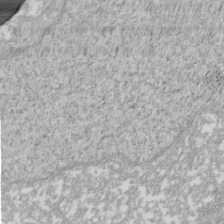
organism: Xenopus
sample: Cilia; centrioles in frog embryo cells